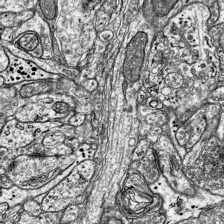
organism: Mouse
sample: Visual Cortex